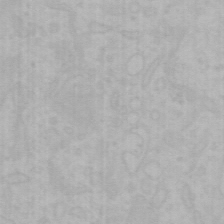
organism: Mouse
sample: Choroid plexus